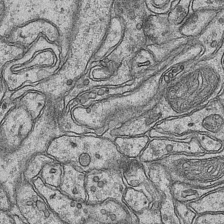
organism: Mouse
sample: CA1 Hippocampus